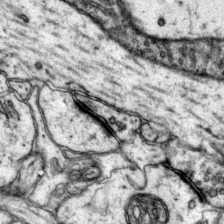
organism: Mouse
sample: Primary visual cortex